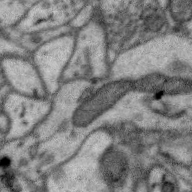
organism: Zebra finch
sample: Brain